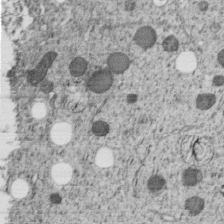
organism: C. elegans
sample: C. elegans embryo early stage